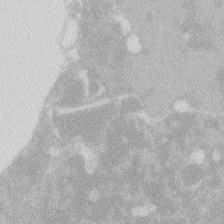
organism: Zebrafish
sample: Macrophage